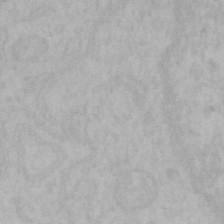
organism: Mouse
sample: Choroid plexus